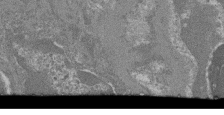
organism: Mouse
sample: Glomerulus